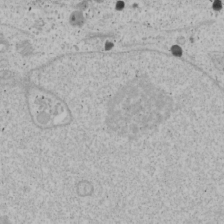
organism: Human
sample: Mitochondria in U2OS cells